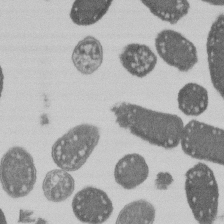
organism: E. coli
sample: Bacterial nucleoid